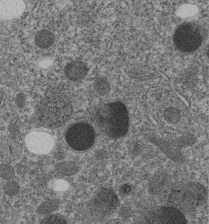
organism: C. elegans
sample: C. elegans embryo early stage